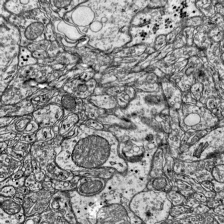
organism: Mouse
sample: Visual Cortex